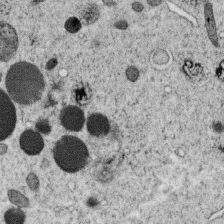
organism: C. elegans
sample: C. elegans oocyte; sperm cells